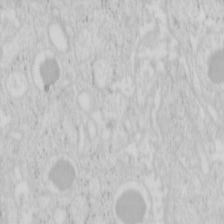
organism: Mouse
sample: Pancreas